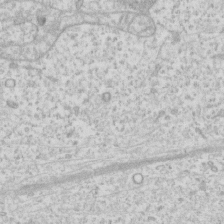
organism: Human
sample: Fibroblast cells